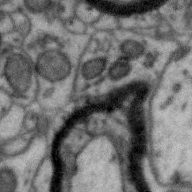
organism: Zebra finch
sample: Brain